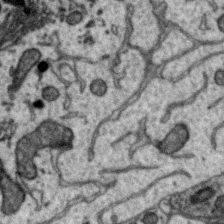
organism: Zebra finch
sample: Brain